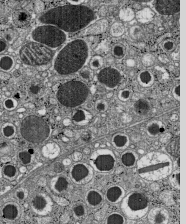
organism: C57BL Mouse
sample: Pancreatic islet